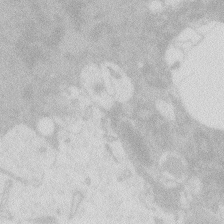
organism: Zebrafish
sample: Macrophage